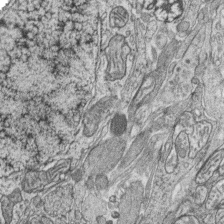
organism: Zebrafish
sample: synaptic ribbons in rod cells and cone cells